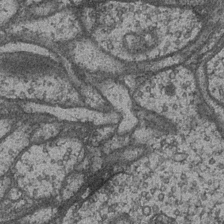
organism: Drosophila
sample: Optic medulla